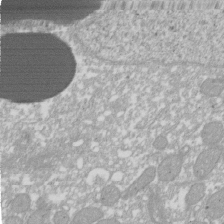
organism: Xenopus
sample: Cilia; centrioles in frog embryo cells